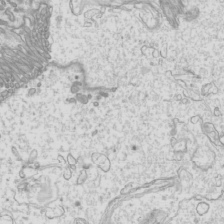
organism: Mouse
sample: Cilia; mouse epididymis